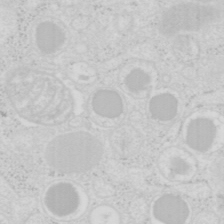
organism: Mouse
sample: Pancreas